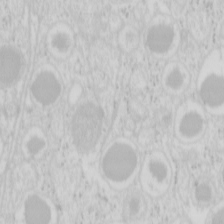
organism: Mouse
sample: Pancreas